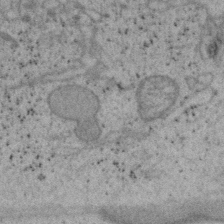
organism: Human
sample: HeLa cells